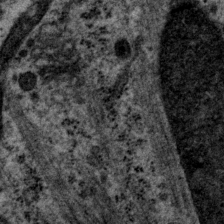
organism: P. pacificus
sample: Pharynx